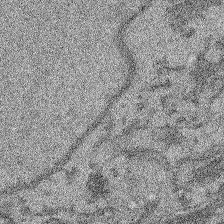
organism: Human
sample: HeLa cells